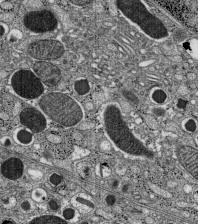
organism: C57BL Mouse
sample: Pancreatic islet